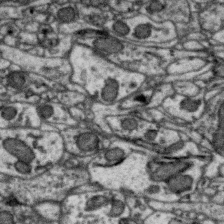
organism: Zebra finch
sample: Brain